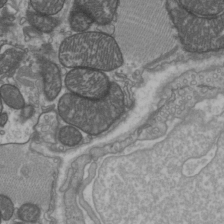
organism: C57BL Mouse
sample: Heart